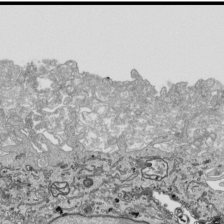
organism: Human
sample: Mitochondria in HCT116 cells